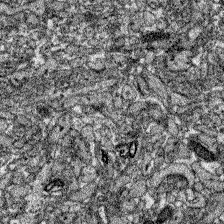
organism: Zebrafish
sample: Larval olfactory bulb